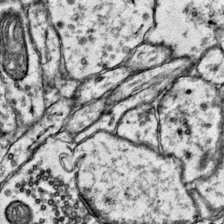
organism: Mouse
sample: Primary visual cortex